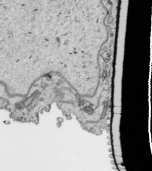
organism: Human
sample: Mitochondria in HCT116 cells